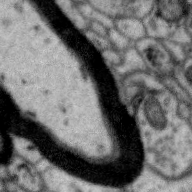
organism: Zebra finch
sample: Brain